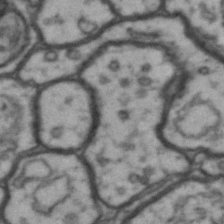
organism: Drosophila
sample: Brain